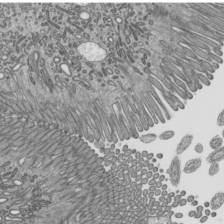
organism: Mouse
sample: Mouse epididymis efferent ductule cilia